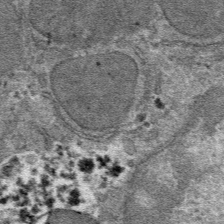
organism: Mouse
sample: Mouse hepatocytes